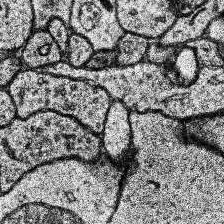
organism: Human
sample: Temporal Lobe